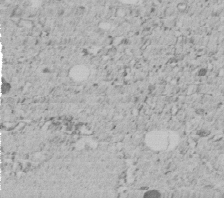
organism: C. elegans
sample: C. elegans embryo early stage